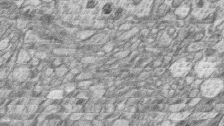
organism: Zebrafish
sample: synaptic ribbons in rod cells and cone cells